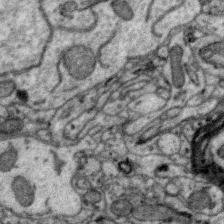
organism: Zebra finch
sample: Brain